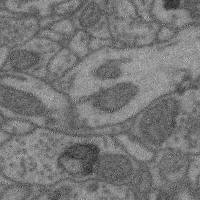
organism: Mouse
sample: Cerebral cortex